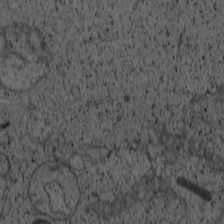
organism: African green monkey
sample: COS-7 cells